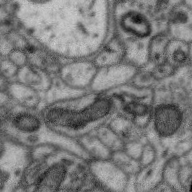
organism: Zebra finch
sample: Brain